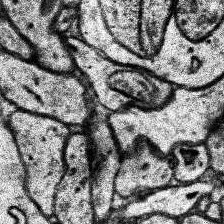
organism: Human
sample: Temporal Lobe